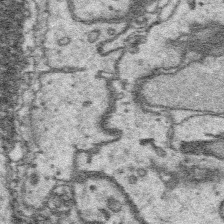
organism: Platynereis dumerilii